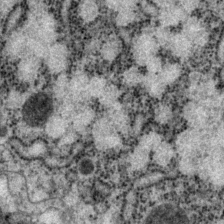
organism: P. pacificus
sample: Pharynx